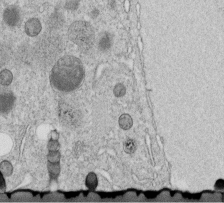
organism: C. elegans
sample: C. elegans embryo early stage